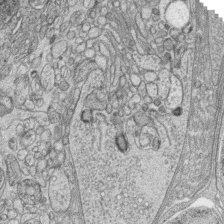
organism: Zebrafish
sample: synaptic ribbons in rod cells and cone cells